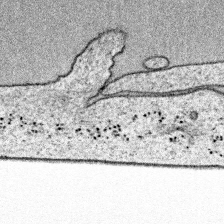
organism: Human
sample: HeLa cells